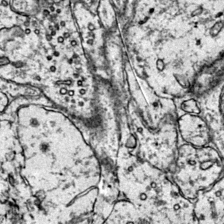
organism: Mouse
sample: Primary visual cortex